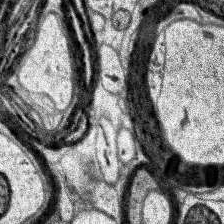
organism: Human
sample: Temporal Lobe